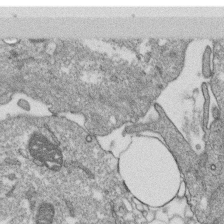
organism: African green monkey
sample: Vero E6 cells infected with SARS-CoV-2